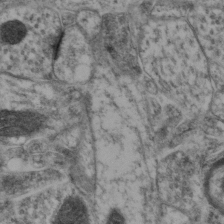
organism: Mouse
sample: Neocortex